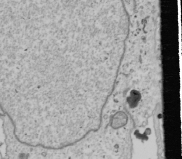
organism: Human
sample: Mitochondria in U2OS cells